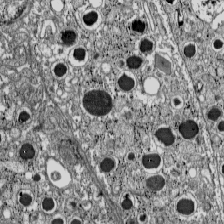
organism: C57BL Mouse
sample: Pancreatic islet